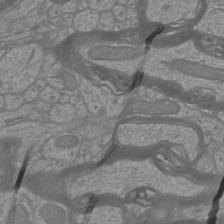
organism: Mouse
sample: Cortical neurons